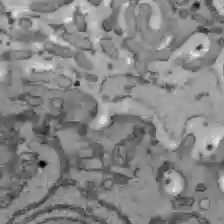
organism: C57BL Mouse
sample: Liver